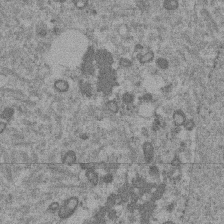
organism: Mouse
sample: Dividing mouse embryo 1 cell stage